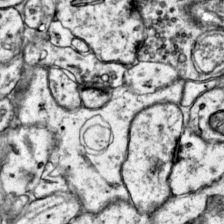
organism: Mouse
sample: Primary visual cortex